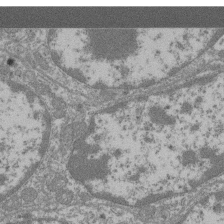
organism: Mouse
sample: Glomerulus